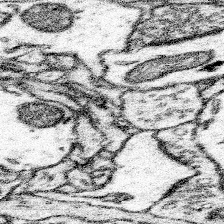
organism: Mouse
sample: Somatosensory cortex neuropil